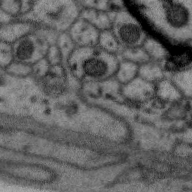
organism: Zebra finch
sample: Brain